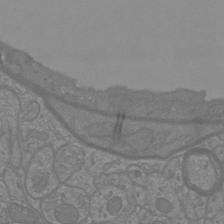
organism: Mouse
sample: Cortical neurons